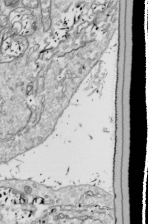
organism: Drosophila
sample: Cell division; meiosis; drosophila spermatocytes